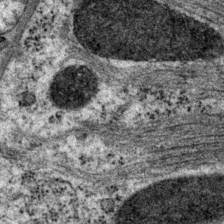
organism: P. pacificus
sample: Pharynx